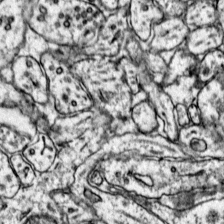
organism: Mouse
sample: Primary visual cortex